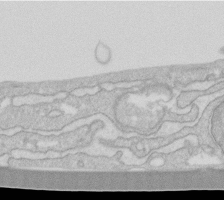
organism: Human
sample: Fibroblast cells